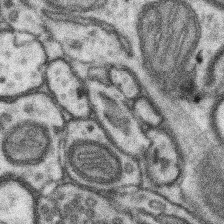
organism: Mouse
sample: Somatosensory cortex neuropil